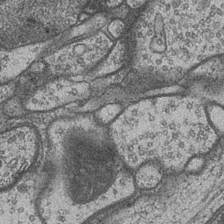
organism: Drosophila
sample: Optic medulla